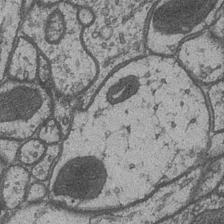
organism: Drosophila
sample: Optic medulla